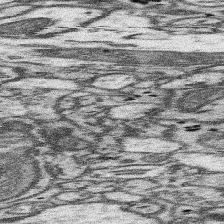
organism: Mouse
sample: Somatosensory cortex neuropil